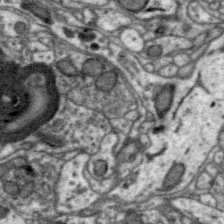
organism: Zebra finch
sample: Brain